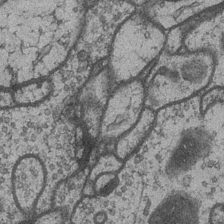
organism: Drosophila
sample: Optic medulla